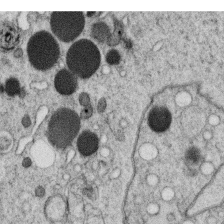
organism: C. elegans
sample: C. elegans oocyte; sperm cells